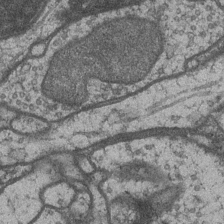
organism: Drosophila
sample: Optic medulla